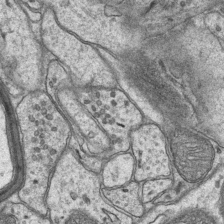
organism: Mouse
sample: CA1 Hippocampus